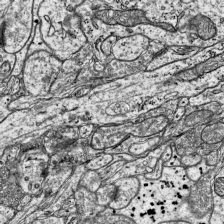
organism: Mouse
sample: Visual Cortex